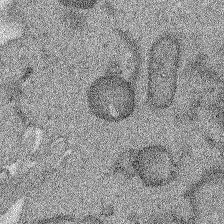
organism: Human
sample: HeLa cells